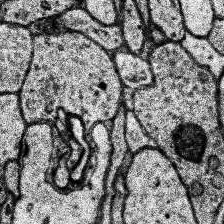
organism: Human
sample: Temporal Lobe